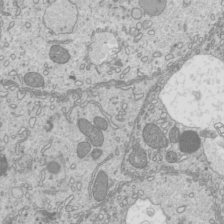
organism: Mouse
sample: Cilia; mouse epididymis